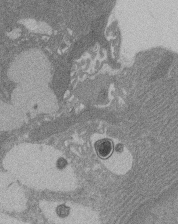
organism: Rat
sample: Salivary granule